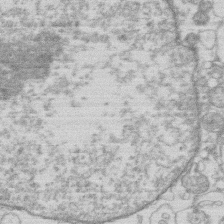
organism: Human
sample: Macrophage cells